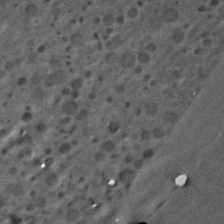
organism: C. elegans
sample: C. elegans embryo